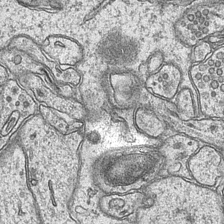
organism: Mouse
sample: CA1 Hippocampus